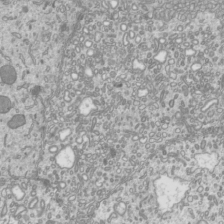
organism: Mouse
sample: Cilia; mouse epididymis